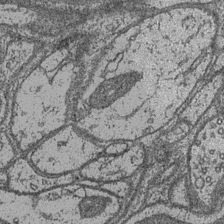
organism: Drosophila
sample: Optic medulla